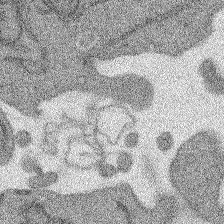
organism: Human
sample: HeLa cells